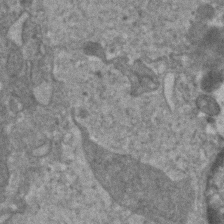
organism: Human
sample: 1205lu cells